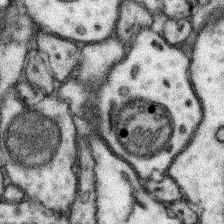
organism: Mouse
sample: Somatosensory cortex neuropil